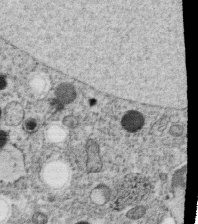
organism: C. elegans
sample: C. elegans oocyte; sperm cells